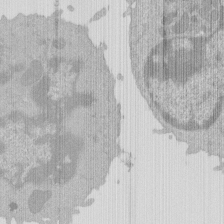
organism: Mouse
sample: Activated Pmel transgenic CD8+ T Cells